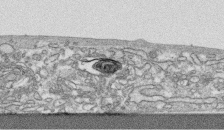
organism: Human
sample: CRL-1474